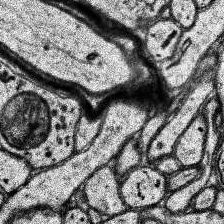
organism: Human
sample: Temporal Lobe